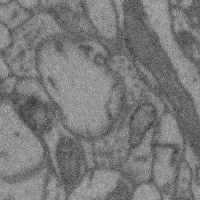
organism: Mouse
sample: Cerebral cortex